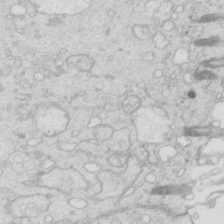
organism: Mouse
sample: Multiciliated cells